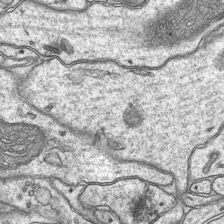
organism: Mouse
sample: CA1 Hippocampus